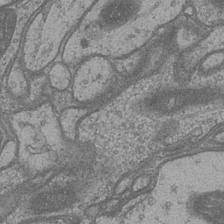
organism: Drosophila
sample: Optic medulla